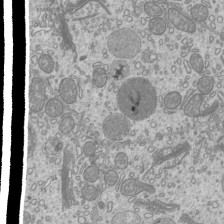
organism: Mouse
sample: Cilia; mouse epididymis